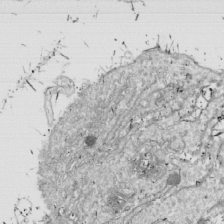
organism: Drosophila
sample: Cell division; meiosis; drosophila spermatocytes